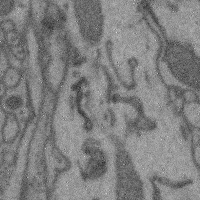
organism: Mouse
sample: Cerebral cortex